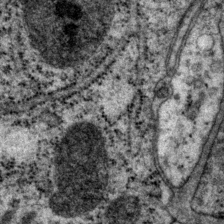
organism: P. pacificus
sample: Pharynx